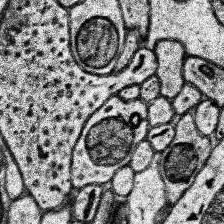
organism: Human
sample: Temporal Lobe